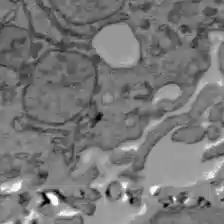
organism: C57BL Mouse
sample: Liver